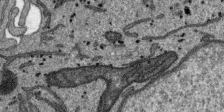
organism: Human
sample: Lung epithelial cells, uninfected (mock) control